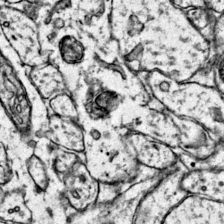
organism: Mouse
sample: Primary visual cortex